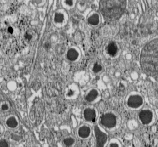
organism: C57BL Mouse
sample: Pancreatic islet